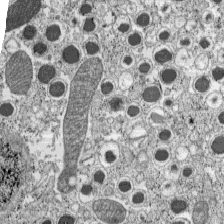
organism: C57BL Mouse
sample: Pancreatic islet